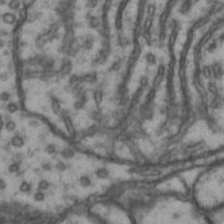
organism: Drosophila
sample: Brain